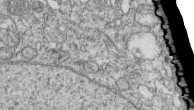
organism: Human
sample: HeLa cell HIV synapse